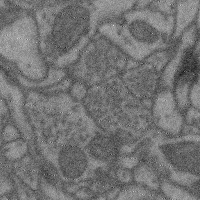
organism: Mouse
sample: Cerebral cortex